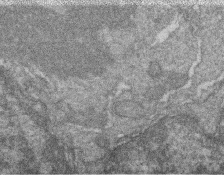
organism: Zebrafish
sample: Cilia; retinal pigment epithelium